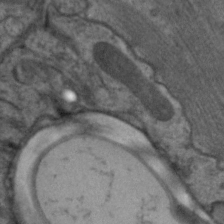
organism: C. elegans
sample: Pharynx